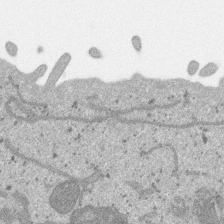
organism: Human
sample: Lung epithelial cells infected with SARS-CoV-2